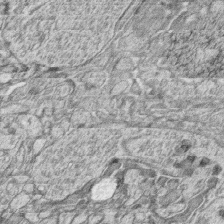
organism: Zebrafish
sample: synaptic ribbons in rod cells and cone cells